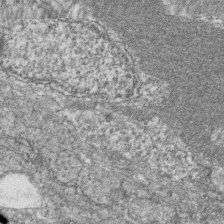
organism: Zebrafish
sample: Cilia; retinal pigment epithelium